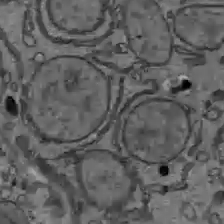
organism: C57BL Mouse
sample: Liver